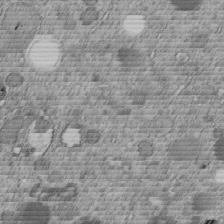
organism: C. elegans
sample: C. elegans embryo early stage